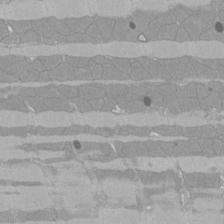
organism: Rat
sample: Left ventricle